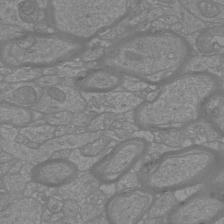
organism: Mouse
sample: Cortical neurons